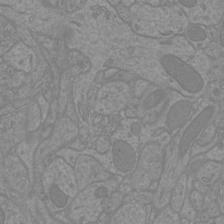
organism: Mouse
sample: Cortical neurons